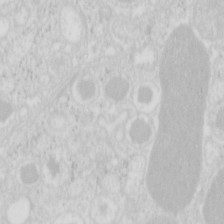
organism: Mouse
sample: Pancreas